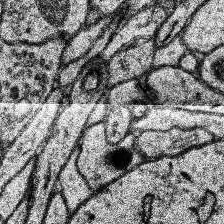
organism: Human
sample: Temporal Lobe